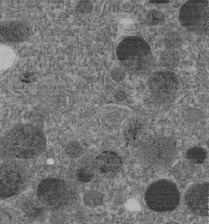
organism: C. elegans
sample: C. elegans embryo early stage